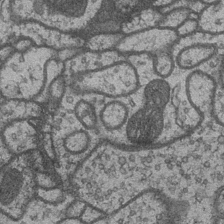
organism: Drosophila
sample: Optic medulla